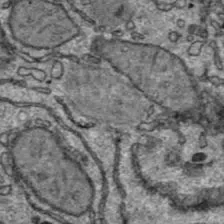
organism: C57BL Mouse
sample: Liver